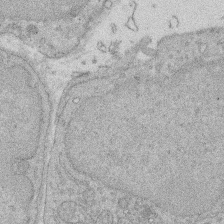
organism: Rat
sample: Salivary granule